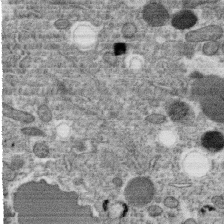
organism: C. elegans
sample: C. elegans oocyte; sperm cells